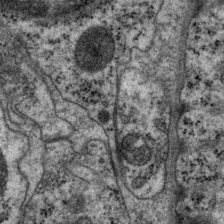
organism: P. pacificus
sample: Pharynx